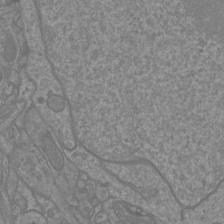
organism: Mouse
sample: Cortical neurons